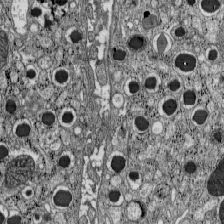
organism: C57BL Mouse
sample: Pancreatic islet